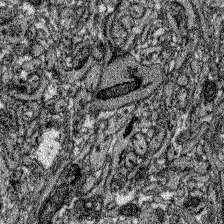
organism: Zebrafish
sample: Larval olfactory bulb